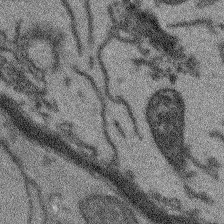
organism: Arabidopsis thaliana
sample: Root tip